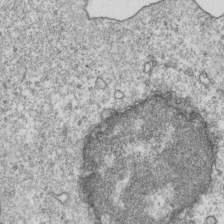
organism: Mouse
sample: Activated OT-1 CD8+ T cells